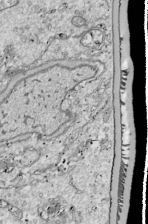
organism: Drosophila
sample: Cell division; meiosis; drosophila spermatocytes